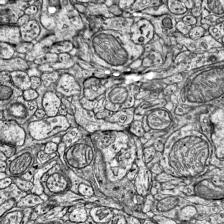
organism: Mouse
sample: Visual Cortex